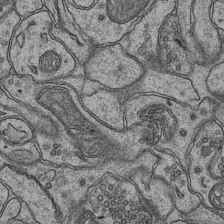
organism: Mouse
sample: CA1 Hippocampus